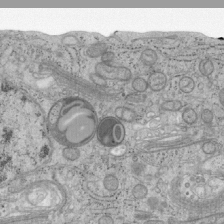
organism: Human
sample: HeLa cells